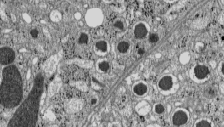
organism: C57BL Mouse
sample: Pancreatic islet